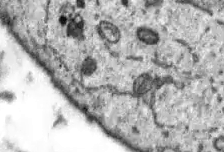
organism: Human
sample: HeLa cells